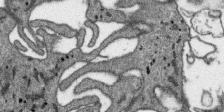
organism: Human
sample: Lung epithelial cells, uninfected (mock) control